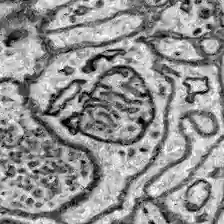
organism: Zebrafish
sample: Brain